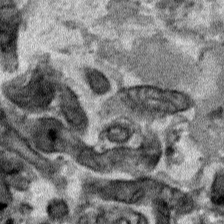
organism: Human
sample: Mitochondria in HCT116 cells